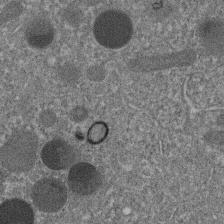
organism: C. elegans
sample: C. elegans embryo early stage